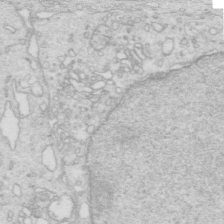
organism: Mouse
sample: Multiciliated cells